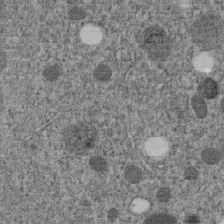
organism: C. elegans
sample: C. elegans embryo early stage